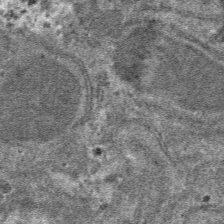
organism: Mouse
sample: Mouse hepatocytes